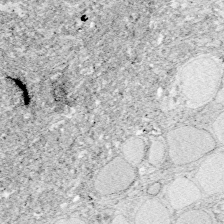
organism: Zebrafish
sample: Whole-Brain